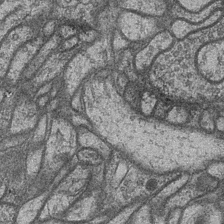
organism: Drosophila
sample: Optic medulla